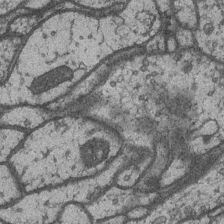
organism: Drosophila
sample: Optic medulla